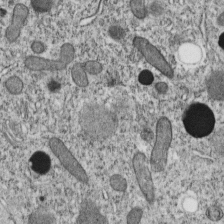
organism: C. elegans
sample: C. elegans embryo early stage